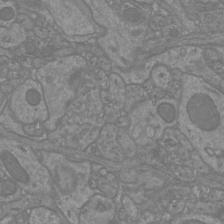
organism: Mouse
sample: Cortical neurons